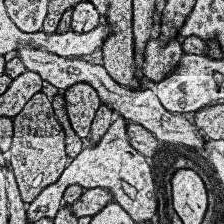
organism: Human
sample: Temporal Lobe